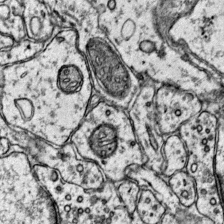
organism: Mouse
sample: Primary visual cortex